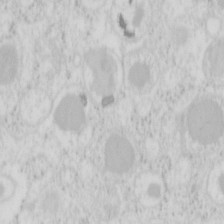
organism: Mouse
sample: Pancreas